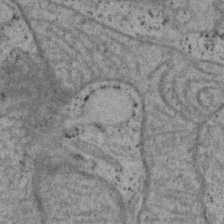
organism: Human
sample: HeLa cells